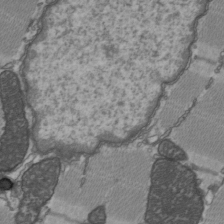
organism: C57BL Mouse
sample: Heart